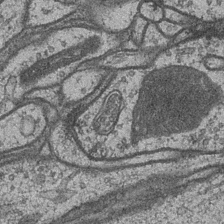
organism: Drosophila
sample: Optic medulla